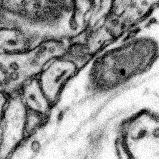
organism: Mouse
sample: Somatosensory cortex neuropil